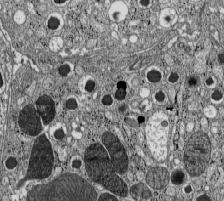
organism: C57BL Mouse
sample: Pancreatic islet